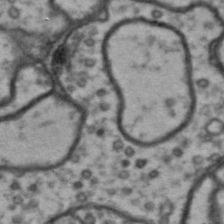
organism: Drosophila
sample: Brain